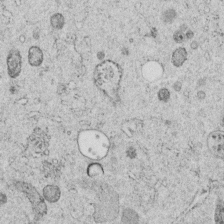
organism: C. elegans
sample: C. elegans embryo early stage